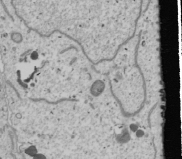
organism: Human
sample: Mitochondria in U2OS cells